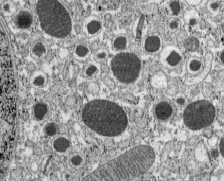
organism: C57BL Mouse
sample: Pancreatic islet